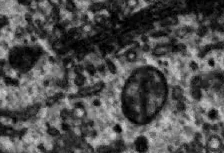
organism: Human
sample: HeLa cells